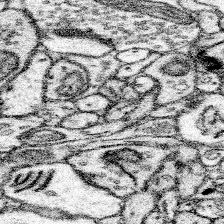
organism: Mouse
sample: Somatosensory cortex neuropil